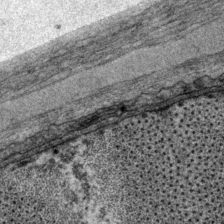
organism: P. pacificus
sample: Pharynx